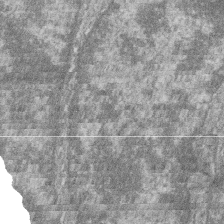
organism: Zebrafish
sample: Cilia; retinal pigment epithelium